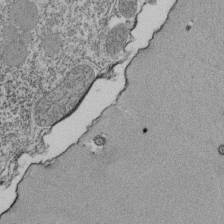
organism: Tetrahymena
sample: Cilia in tetrahymena